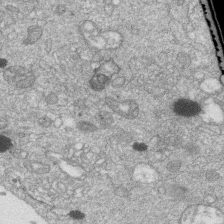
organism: Human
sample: HeLa cell HIV synapse